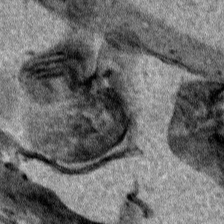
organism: Human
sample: Mitochondria in HCT116 cells